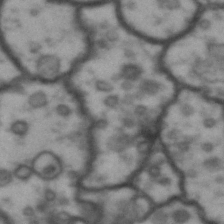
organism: Drosophila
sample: Brain